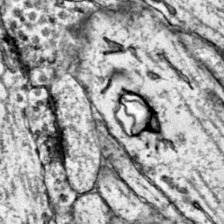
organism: Mouse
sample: Primary visual cortex